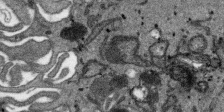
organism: Human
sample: Lung epithelial cells, uninfected (mock) control